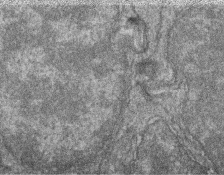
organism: Zebrafish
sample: Cilia; retinal pigment epithelium